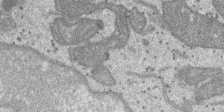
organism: Human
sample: Lung epithelial cells infected with SARS-CoV-2